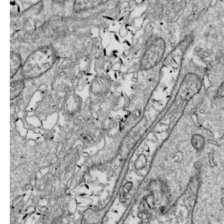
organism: Drosophila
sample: Cell division; meiosis; drosophila spermatocytes